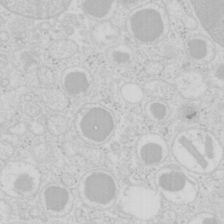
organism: Mouse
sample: Pancreas